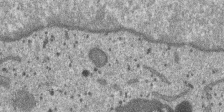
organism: Human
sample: Lung epithelial cells infected with SARS-CoV-2